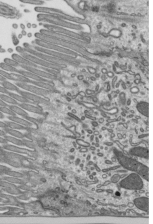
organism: Mouse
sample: Mouse epididymis efferent ductule cilia